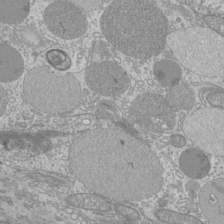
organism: Mouse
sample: Cilia; mouse epididymis